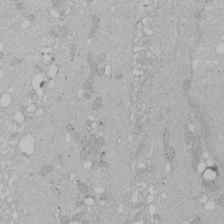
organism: Human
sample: Melanocyte Keratinocyte synapse skin construct